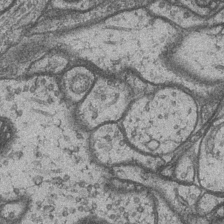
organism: Drosophila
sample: Optic medulla